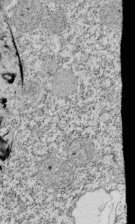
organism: Tetrahymena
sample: Cilia in tetrahymena